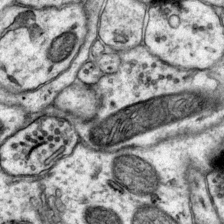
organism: Mouse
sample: Primary visual cortex